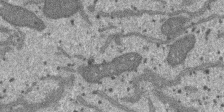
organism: Human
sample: Lung epithelial cells infected with SARS-CoV-2